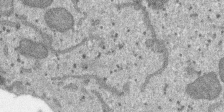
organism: Human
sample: Lung epithelial cells infected with SARS-CoV-2